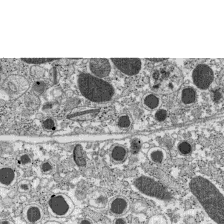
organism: C57BL Mouse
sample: Pancreatic islet